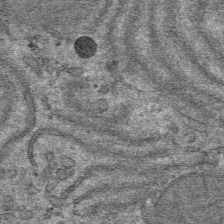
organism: Mouse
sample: Mouse hepatocytes